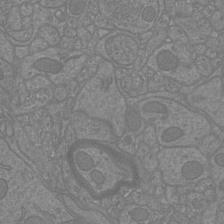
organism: Mouse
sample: Cortical neurons